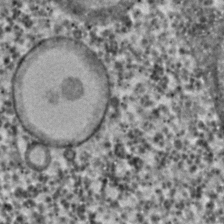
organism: C. elegans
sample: C. elegans embryo